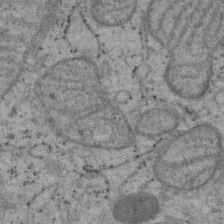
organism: Human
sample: HeLa cells